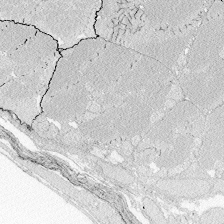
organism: Zebrafish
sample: Whole-Brain